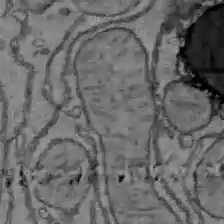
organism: C57BL Mouse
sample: Liver